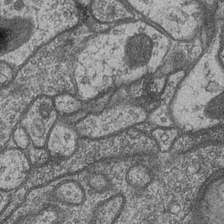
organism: Drosophila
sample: Optic medulla